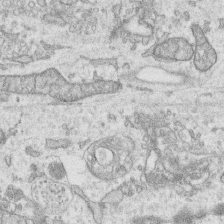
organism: Human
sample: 1205lu cells